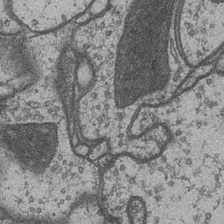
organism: Drosophila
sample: Optic medulla